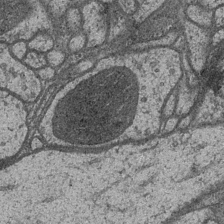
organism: Drosophila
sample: Optic medulla